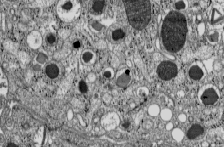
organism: C57BL Mouse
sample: Pancreatic islet